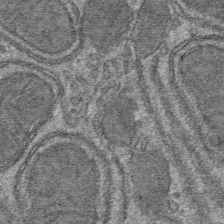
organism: Mouse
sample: Mouse hepatocytes